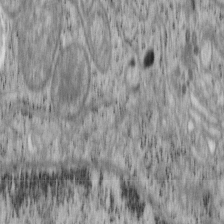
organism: Human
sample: HeLa cells